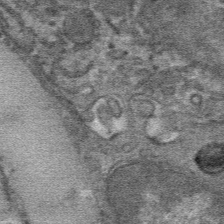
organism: Mouse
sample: Mouse hepatocytes